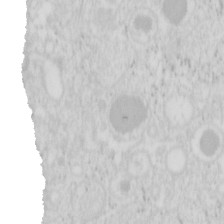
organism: Mouse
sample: Pancreas